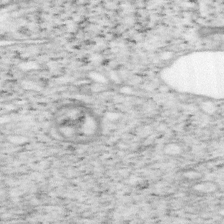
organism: Mouse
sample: OT-I killer T cells with ID8 ovarian cancer cells